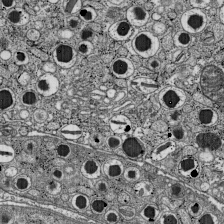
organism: C57BL Mouse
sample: Pancreatic islet